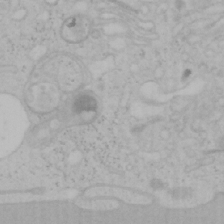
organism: Mouse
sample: OT-I killer T cells with ID8 ovarian cancer cells